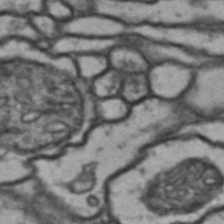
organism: Drosophila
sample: Brain